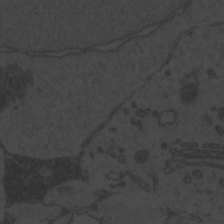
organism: Zebrafish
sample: Macrophage infected with Toxoplasma gondii